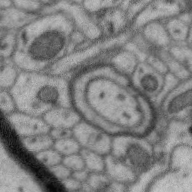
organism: Zebra finch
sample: Brain